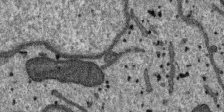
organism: Human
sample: Lung epithelial cells, uninfected (mock) control